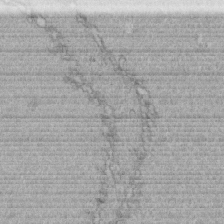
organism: C. elegans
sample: C. elegans embryo early stage